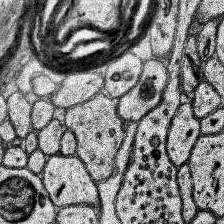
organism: Human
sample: Temporal Lobe